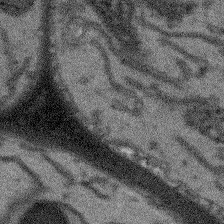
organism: Arabidopsis thaliana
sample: Root tip